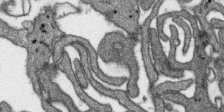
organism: Human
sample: Lung epithelial cells, uninfected (mock) control